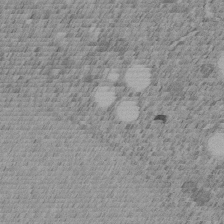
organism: C. elegans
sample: C. elegans embryo early stage